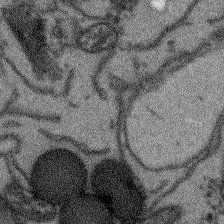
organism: Arabidopsis thaliana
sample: Root tip